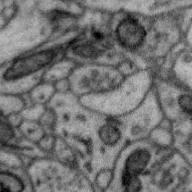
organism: Zebra finch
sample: Brain